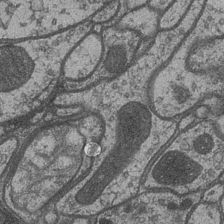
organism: Drosophila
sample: Optic medulla